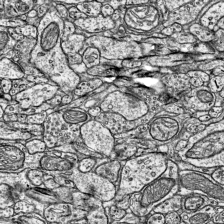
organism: Mouse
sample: Visual Cortex